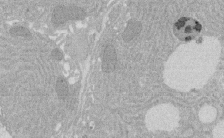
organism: Rat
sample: Salivary granule